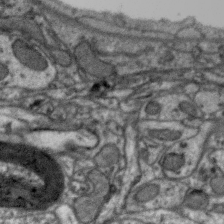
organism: Zebra finch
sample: Brain